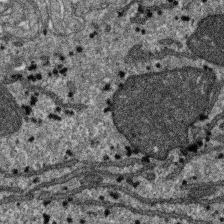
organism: Human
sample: Lung epithelial cells infected with SARS-CoV-2